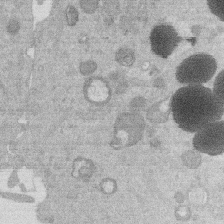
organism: Mouse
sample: Dividing mouse embryo 1 cell stage